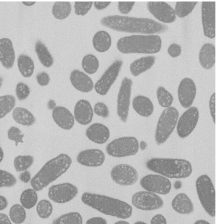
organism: E. coli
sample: Bacterial nucleoid